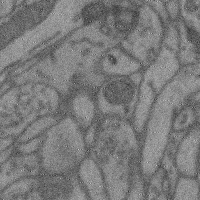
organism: Mouse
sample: Cerebral cortex